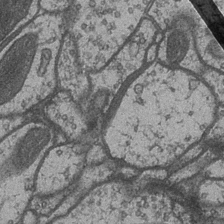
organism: Drosophila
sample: Optic medulla